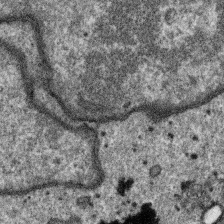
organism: Human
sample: Lung epithelial cells infected with SARS-CoV-2